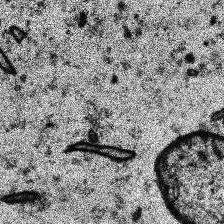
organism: Human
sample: Temporal Lobe